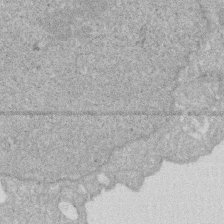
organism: Human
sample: HIV infected U937 cells